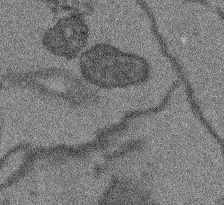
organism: Arabidopsis thaliana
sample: Root tip